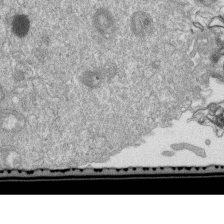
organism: Human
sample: HeLa cell HIV synapse